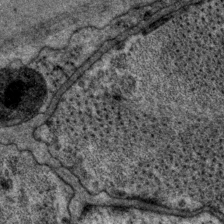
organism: P. pacificus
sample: Pharynx